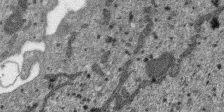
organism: Human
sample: Lung epithelial cells infected with SARS-CoV-2